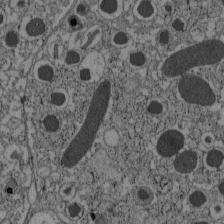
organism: C57BL Mouse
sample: Pancreatic islet